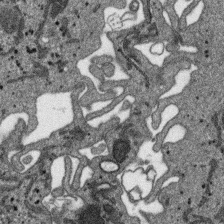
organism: Human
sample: Lung epithelial cells infected with SARS-CoV-2